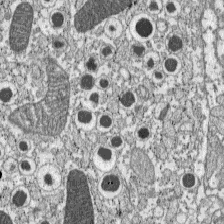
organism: C57BL Mouse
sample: Pancreatic islet